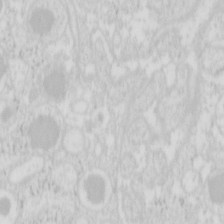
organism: Mouse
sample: Pancreas